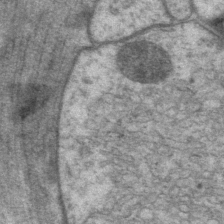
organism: P. pacificus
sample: Pharynx